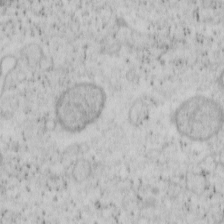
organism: Human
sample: HeLa cells